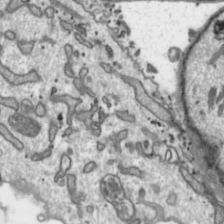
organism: Toxoplasma gondii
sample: Parasites in a vacuole inside a host cell